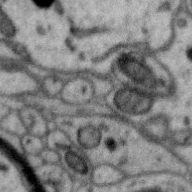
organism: Zebra finch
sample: Brain